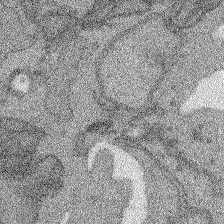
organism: Human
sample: HeLa cells